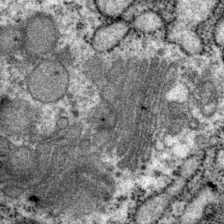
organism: P. pacificus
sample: Pharynx